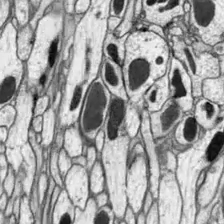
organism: Drosophila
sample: Optic lobe